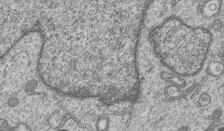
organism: Human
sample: MDA-MB-231 cells